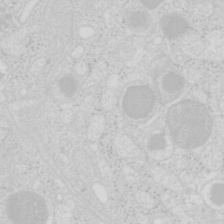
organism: Mouse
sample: Pancreas